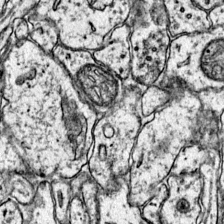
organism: Mouse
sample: Primary visual cortex